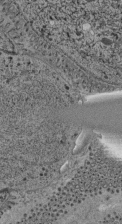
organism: C. elegans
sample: C. elegans pharynx